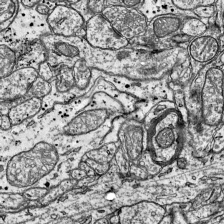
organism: Mouse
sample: Visual Cortex